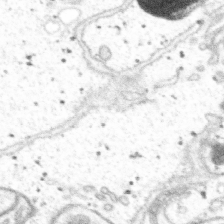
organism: Human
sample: HeLa cells